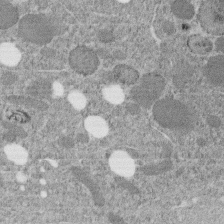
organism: C. elegans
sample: C. elegans embryo early stage